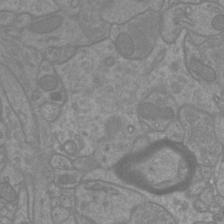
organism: Mouse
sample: Cortical neurons